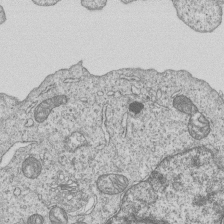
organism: Human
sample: MDA-MB-231 cells